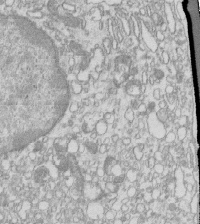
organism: Mouse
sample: Macrophages